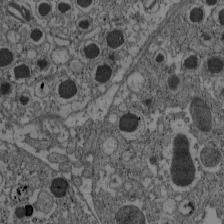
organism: C57BL Mouse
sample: Pancreatic islet